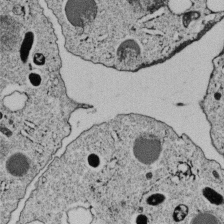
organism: C. elegans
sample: C. elegans embryo early stage